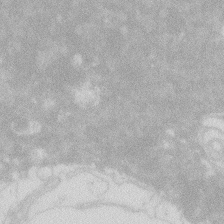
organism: Zebrafish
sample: Macrophage